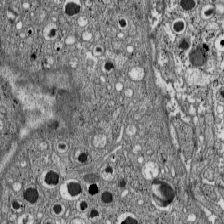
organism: C57BL Mouse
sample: Pancreatic islet